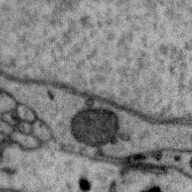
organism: Zebra finch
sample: Brain